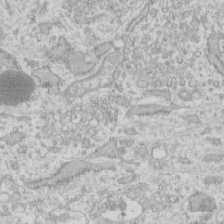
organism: Human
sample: Fibroblast cells